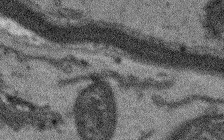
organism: Arabidopsis thaliana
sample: Root tip